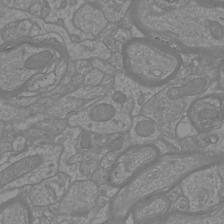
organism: Mouse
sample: Cortical neurons